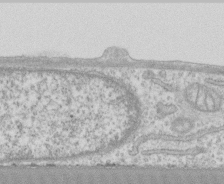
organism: Human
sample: CRL-1474